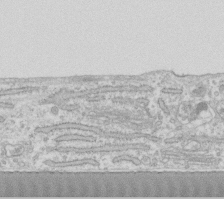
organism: Human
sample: Fibroblast cells